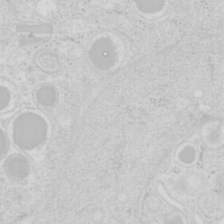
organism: Mouse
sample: Pancreas